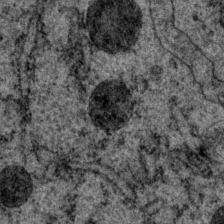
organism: P. pacificus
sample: Pharynx